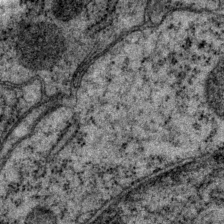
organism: P. pacificus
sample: Pharynx